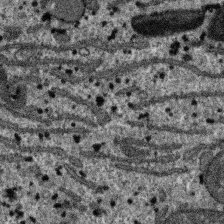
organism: Human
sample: Lung epithelial cells infected with SARS-CoV-2